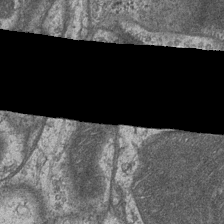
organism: Drosophila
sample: Optic medulla